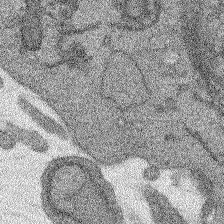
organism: Human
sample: HeLa cells